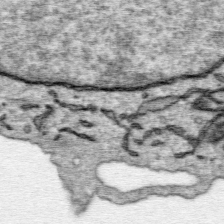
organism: Human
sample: HeLa cells